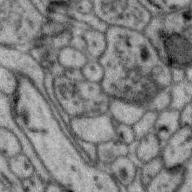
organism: Zebra finch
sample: Brain